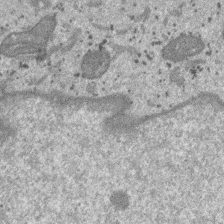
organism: Human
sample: Lung epithelial cells infected with SARS-CoV-2